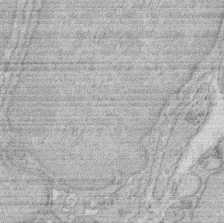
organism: Rat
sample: Salivary granule